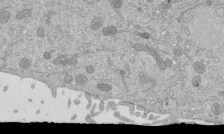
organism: Mouse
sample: ED-1 cell nuclei; centrioles